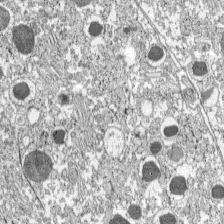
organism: C57BL Mouse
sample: Pancreatic islet